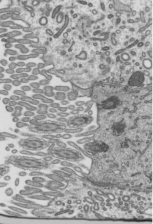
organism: Mouse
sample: Mouse epididymis efferent ductule cilia